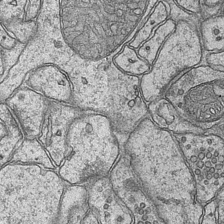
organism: Mouse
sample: CA1 Hippocampus